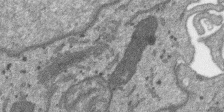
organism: Human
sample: Lung epithelial cells infected with SARS-CoV-2